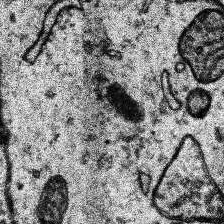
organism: Human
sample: Temporal Lobe